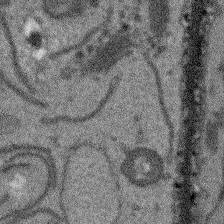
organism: Arabidopsis thaliana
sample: Root tip